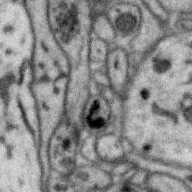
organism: Zebra finch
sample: Brain